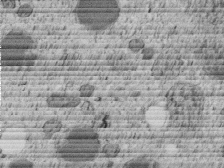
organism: C. elegans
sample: C. elegans embryo early stage